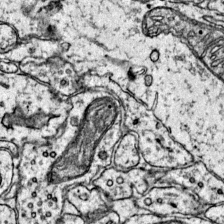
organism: Mouse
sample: Primary visual cortex